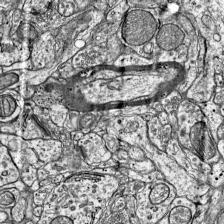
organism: Mouse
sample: Visual Cortex